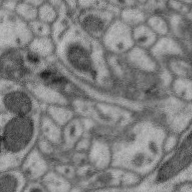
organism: Zebra finch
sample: Brain